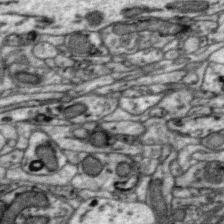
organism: Zebra finch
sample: Brain